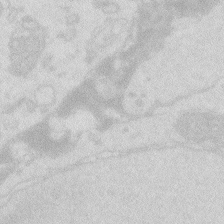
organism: Zebrafish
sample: Macrophage